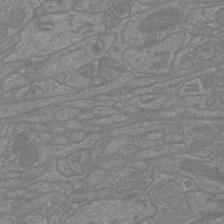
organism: Mouse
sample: Cortical neurons